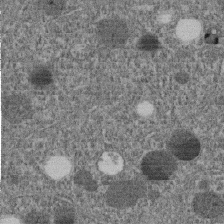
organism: C. elegans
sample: C. elegans embryo early stage